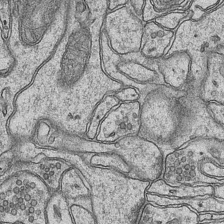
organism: Mouse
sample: CA1 Hippocampus